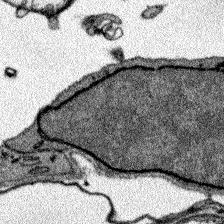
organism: Zebrafish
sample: Larval olfactory bulb